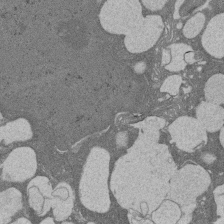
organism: Rat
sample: Salivary granule